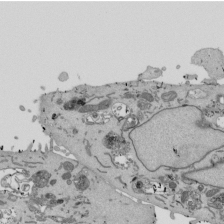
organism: Mouse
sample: ED-1 cell nuclei; centrioles